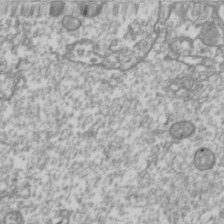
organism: Drosophila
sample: Cell division; meiosis; drosophila spermatocytes